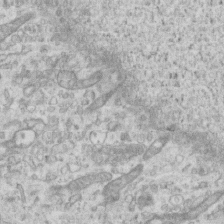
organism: Mouse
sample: Centriole in ependymal cells